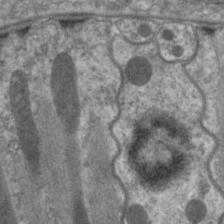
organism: C. elegans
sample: Pharynx